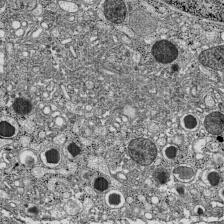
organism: C57BL Mouse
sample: Pancreatic islet